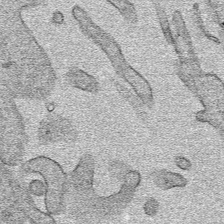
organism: Human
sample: Mitochondria in HCT116 cells